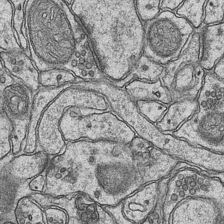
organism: Mouse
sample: CA1 Hippocampus